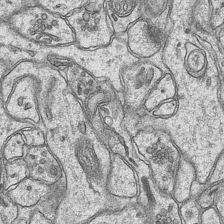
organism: Mouse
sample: CA1 Hippocampus